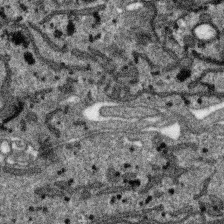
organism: Human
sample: Lung epithelial cells infected with SARS-CoV-2